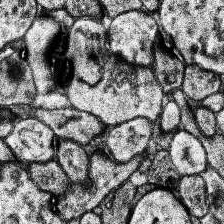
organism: Human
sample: Temporal Lobe